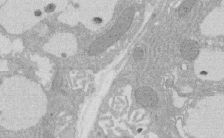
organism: Rat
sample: Salivary granule